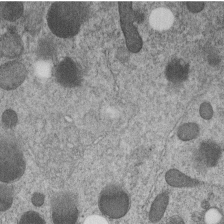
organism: C. elegans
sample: C. elegans embryo early stage